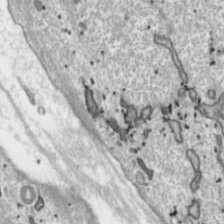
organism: Toxoplasma gondii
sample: Parasites in a vacuole inside a host cell